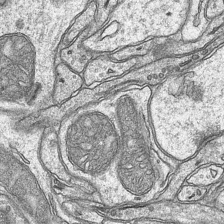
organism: Mouse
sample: CA1 Hippocampus